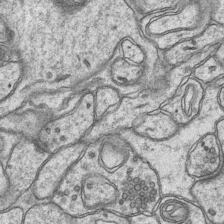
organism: Mouse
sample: CA1 Hippocampus